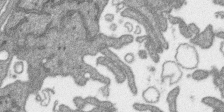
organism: Human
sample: Lung epithelial cells infected with SARS-CoV-2